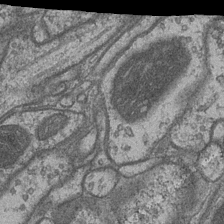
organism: Drosophila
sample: Optic medulla